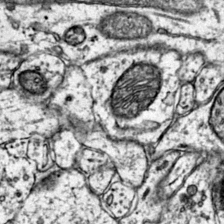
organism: Mouse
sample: Primary visual cortex